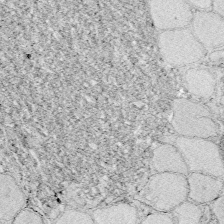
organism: Zebrafish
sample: Whole-Brain